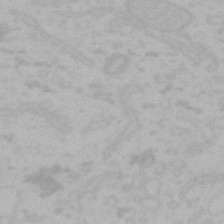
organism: Mouse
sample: Choroid plexus